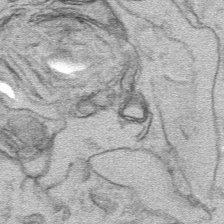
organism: Mouse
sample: Mouse hepatocytes